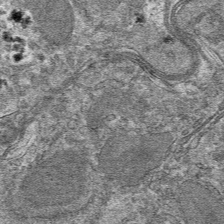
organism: Mouse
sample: Mouse hepatocytes